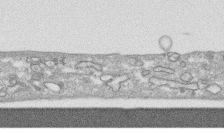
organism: Human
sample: CRL-1474